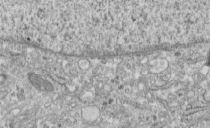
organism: Human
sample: Centriole in fibroblast cells